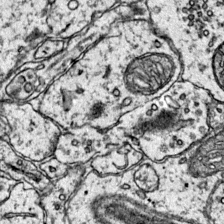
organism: Mouse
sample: Primary visual cortex